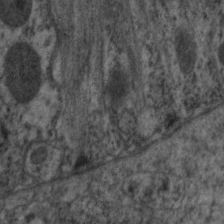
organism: C. elegans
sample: Pharynx